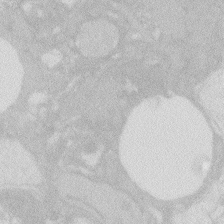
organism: Zebrafish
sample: Macrophage